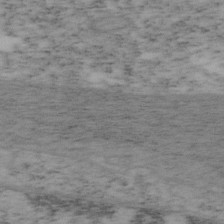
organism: Mouse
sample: OT-I killer T cells with ID8 ovarian cancer cells